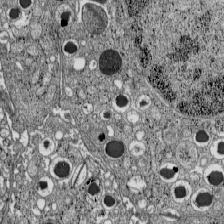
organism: C57BL Mouse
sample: Pancreatic islet